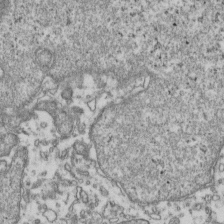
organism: Human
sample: Activated Jurkat CD4+ T cells